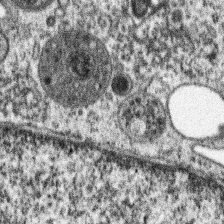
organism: Human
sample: HeLa cells